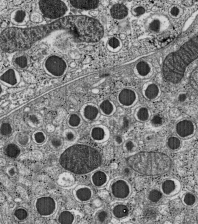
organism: C57BL Mouse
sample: Pancreatic islet